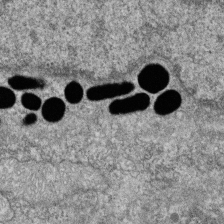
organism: Zebrafish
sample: Cilia; retinal pigment epithelium